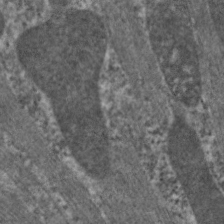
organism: C. elegans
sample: Pharynx